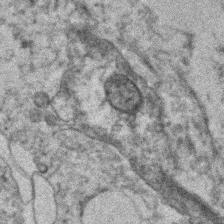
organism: Human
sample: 1205lu cells